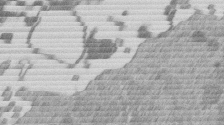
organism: Mouse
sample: Dividing mouse embryo 1 cell stage